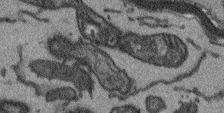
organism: Arabidopsis thaliana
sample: Root tip